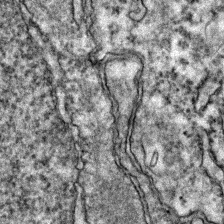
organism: Zebrafish